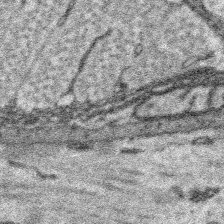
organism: Platynereis dumerilii